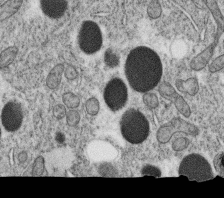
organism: C. elegans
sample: C. elegans oocyte; sperm cells